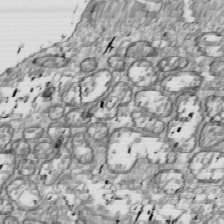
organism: Drosophila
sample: Cell division; meiosis; drosophila spermatocytes